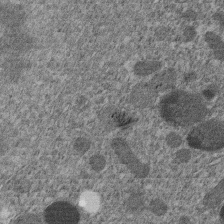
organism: C. elegans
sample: C. elegans embryo early stage